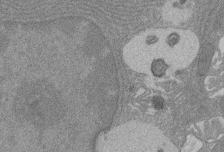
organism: Rat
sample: Salivary granule